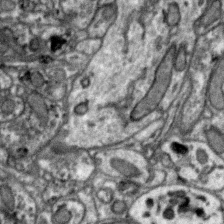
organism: Zebra finch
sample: Brain